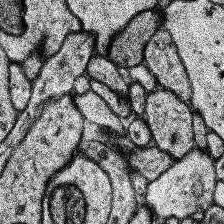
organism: Human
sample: Temporal Lobe